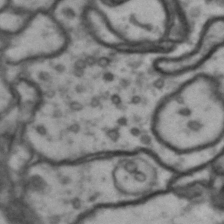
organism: Drosophila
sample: Brain